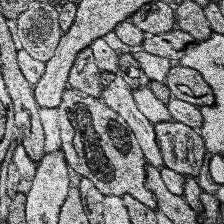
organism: Human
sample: Temporal Lobe